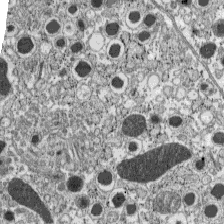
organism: C57BL Mouse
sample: Pancreatic islet